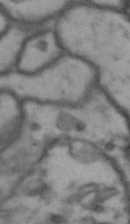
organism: Drosophila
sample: Brain